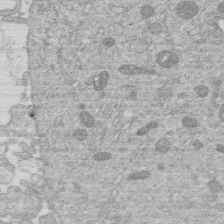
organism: Human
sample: Macrophage cells